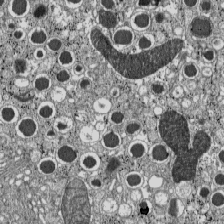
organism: C57BL Mouse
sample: Pancreatic islet